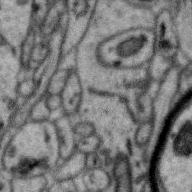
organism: Zebra finch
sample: Brain